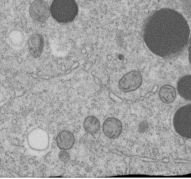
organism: C. elegans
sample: C. elegans embryo early stage